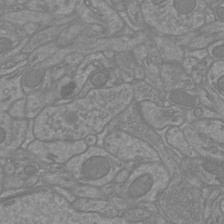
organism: Mouse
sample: Cortical neurons